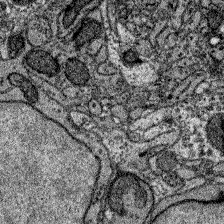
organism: Zebrafish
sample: Larval olfactory bulb